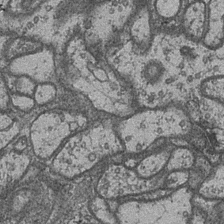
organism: Drosophila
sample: Optic medulla